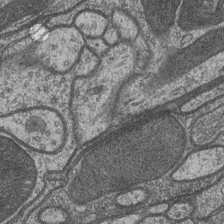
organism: Drosophila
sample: Optic medulla